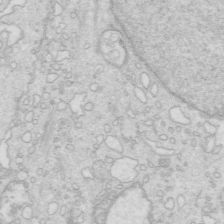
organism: Mouse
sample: Multiciliated cells